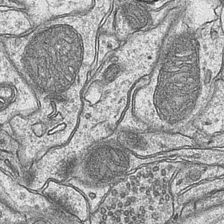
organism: Mouse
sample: CA1 Hippocampus